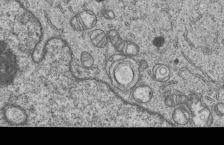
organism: Human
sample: MDA-MB-231 cells